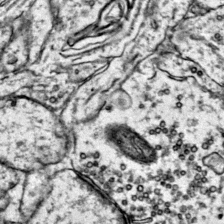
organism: Mouse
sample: Primary visual cortex